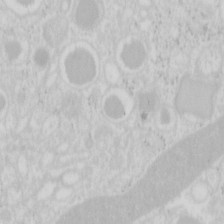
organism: Mouse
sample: Pancreas